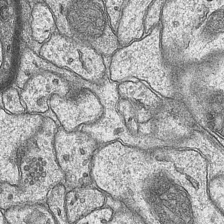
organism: Mouse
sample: CA1 Hippocampus